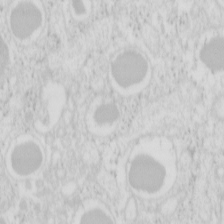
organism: Mouse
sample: Pancreas